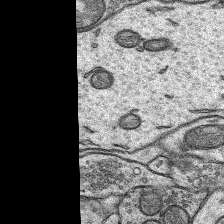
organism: Rat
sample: Hippocampus